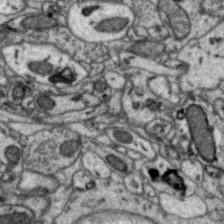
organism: Zebra finch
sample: Brain